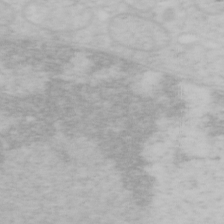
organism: Mouse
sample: OT-I killer T cells with ID8 ovarian cancer cells